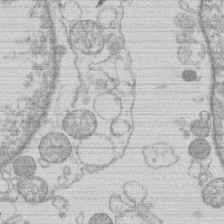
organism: Human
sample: Macrophage cells